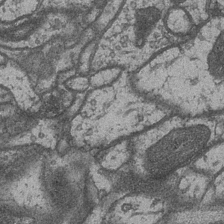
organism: Drosophila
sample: Optic medulla